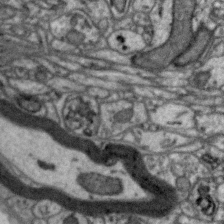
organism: Zebra finch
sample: Brain